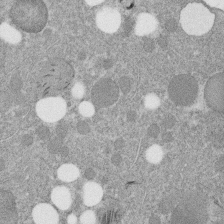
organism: C. elegans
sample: C. elegans embryo early stage